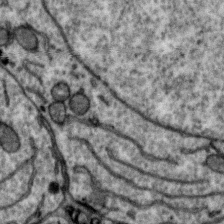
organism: Zebra finch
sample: Brain